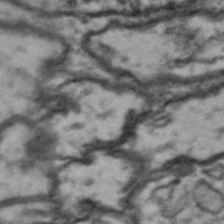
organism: Drosophila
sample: Brain